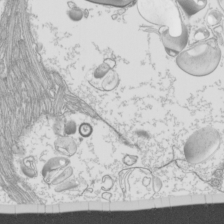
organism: Mouse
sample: Cilia; mouse epididymis